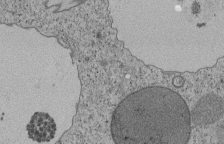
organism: Tetrahymena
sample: Cilia in tetrahymena